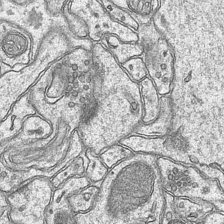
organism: Mouse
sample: CA1 Hippocampus